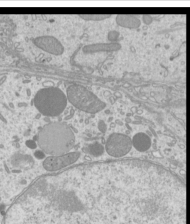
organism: Mouse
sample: Cilia; mouse epididymis